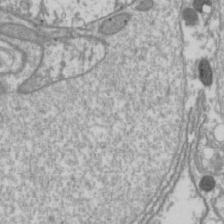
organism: Drosophila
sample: Cell division; meiosis; drosophila spermatocytes